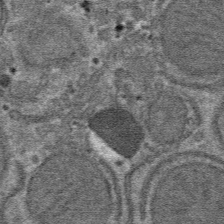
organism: Mouse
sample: Mouse hepatocytes